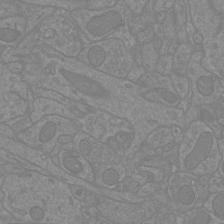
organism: Mouse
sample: Cortical neurons